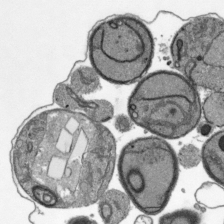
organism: Plasmodium falciparum